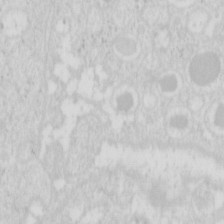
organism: Mouse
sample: Pancreas